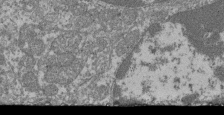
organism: Mouse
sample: Glomerulus